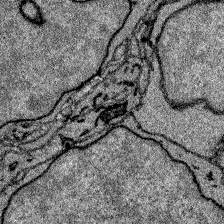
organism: Zebrafish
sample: Larval olfactory bulb